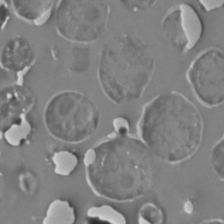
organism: C. elegans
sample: C. elegans embryo